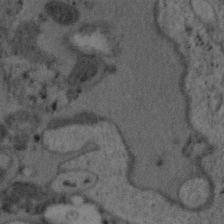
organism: Human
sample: HeLa cells